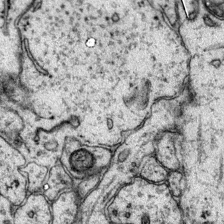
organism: Mouse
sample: Primary visual cortex